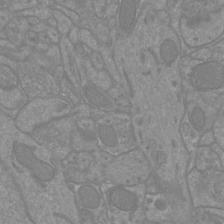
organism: Mouse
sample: Cortical neurons